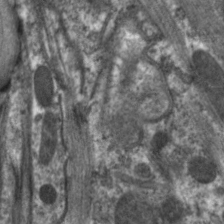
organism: C. elegans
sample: Pharynx